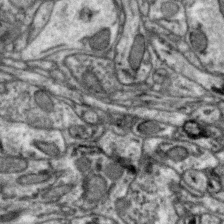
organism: Zebra finch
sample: Brain